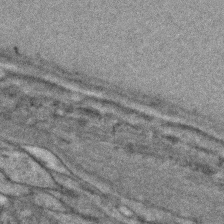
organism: C. elegans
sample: C. elegans embryo